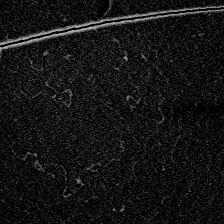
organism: Zebrafish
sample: Whole-Brain